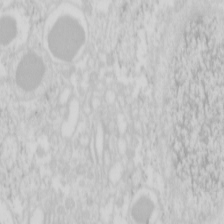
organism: Mouse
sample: Pancreas